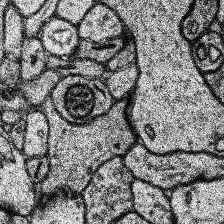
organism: Human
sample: Temporal Lobe